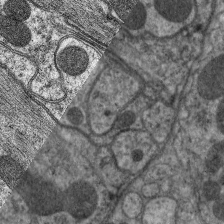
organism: C. elegans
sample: Pharynx